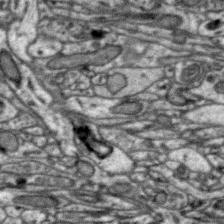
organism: Zebra finch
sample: Brain